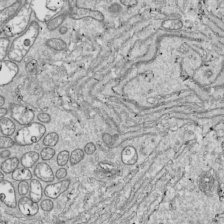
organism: Drosophila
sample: Cell division; meiosis; drosophila spermatocytes